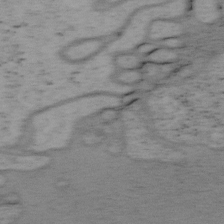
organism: Mouse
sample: OT-I killer T cells with ID8 ovarian cancer cells